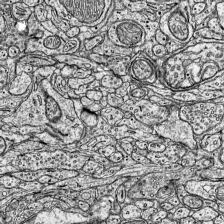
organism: Mouse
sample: Visual Cortex